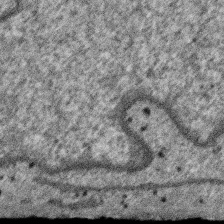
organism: Human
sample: Lung epithelial cells infected with SARS-CoV-2